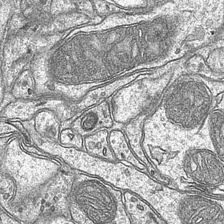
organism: Mouse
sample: CA1 Hippocampus